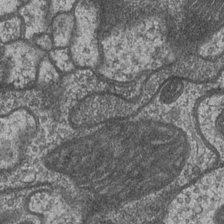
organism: Drosophila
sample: Optic medulla